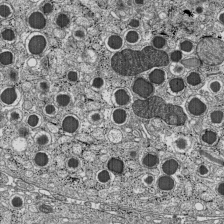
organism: C57BL Mouse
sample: Pancreatic islet